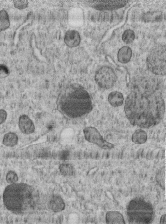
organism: C. elegans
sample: C. elegans embryo early stage